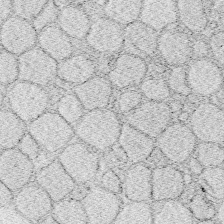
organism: Zebrafish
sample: Whole-Brain